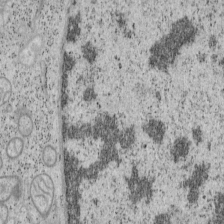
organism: Mouse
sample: OT-I killer T cells with ID8 ovarian cancer cells